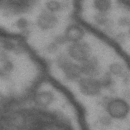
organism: Drosophila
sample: Brain